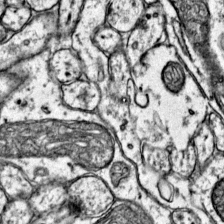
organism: Mouse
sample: Primary visual cortex